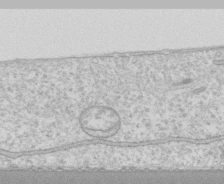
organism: Human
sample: CRL-1474